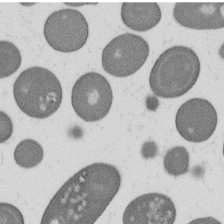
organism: B. subtilis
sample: Bacterial spore